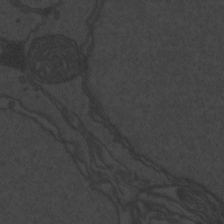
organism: Zebrafish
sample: Macrophage infected with Toxoplasma gondii